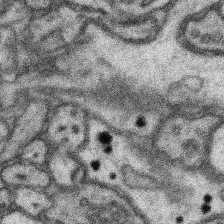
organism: Mouse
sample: Somatosensory cortex neuropil